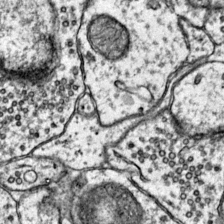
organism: Mouse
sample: Primary visual cortex